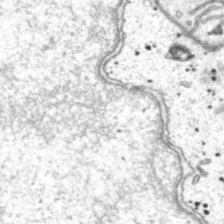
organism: Human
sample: HeLa cells